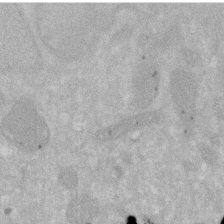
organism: Human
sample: HIV infected U937 cells